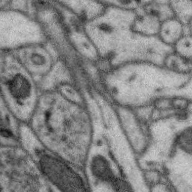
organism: Zebra finch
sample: Brain